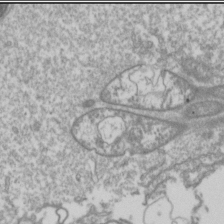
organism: Drosophila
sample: Cell division; meiosis; drosophila spermatocytes